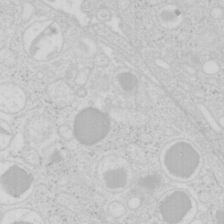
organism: Mouse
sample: Pancreas